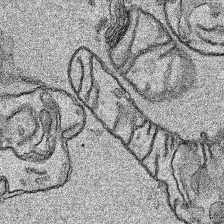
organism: Human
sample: Mitochondria in HCT116 cells